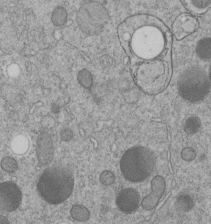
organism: C. elegans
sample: C. elegans embryo early stage